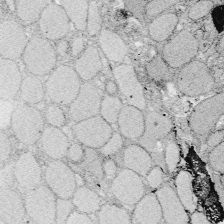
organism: Zebrafish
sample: Whole-Brain